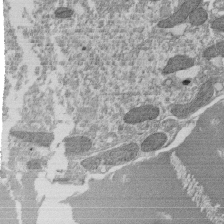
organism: Tetrahymena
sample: Cilia in tetrahymena